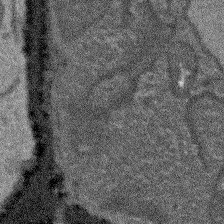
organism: Arabidopsis thaliana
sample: Root tip